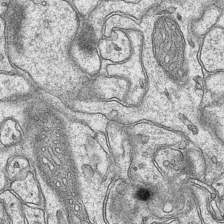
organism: Mouse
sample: CA1 Hippocampus